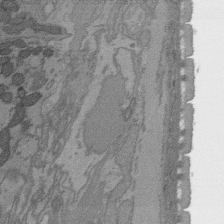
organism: C. elegans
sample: AFD neurons C. elegans